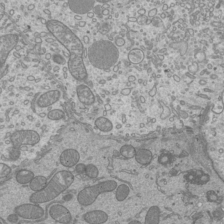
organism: Mouse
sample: Cilia; mouse epididymis